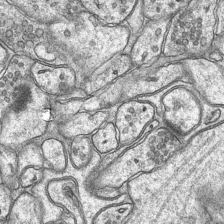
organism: Mouse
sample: CA1 Hippocampus